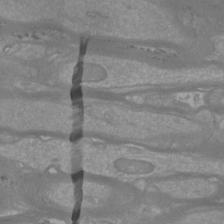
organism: Mouse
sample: Cortical neurons